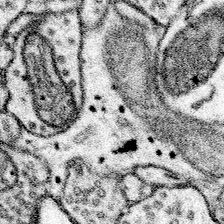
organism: Mouse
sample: Somatosensory cortex neuropil